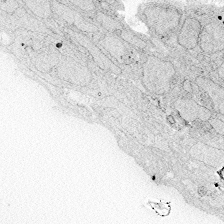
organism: Zebrafish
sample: Whole-Brain